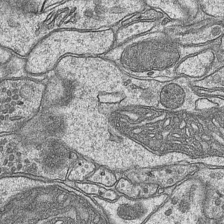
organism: Mouse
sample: CA1 Hippocampus